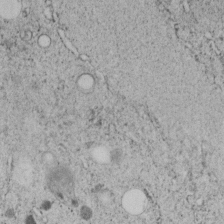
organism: C. elegans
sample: C. elegans embryo early stage